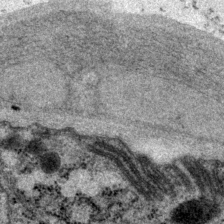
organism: P. pacificus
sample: Pharynx